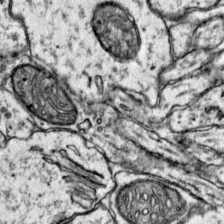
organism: Mouse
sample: Primary visual cortex